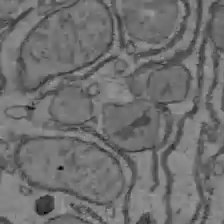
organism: C57BL Mouse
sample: Liver